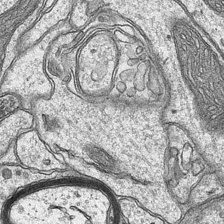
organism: Mouse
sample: CA1 Hippocampus